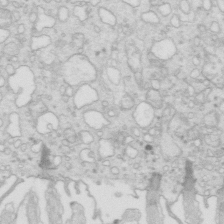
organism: Mouse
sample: Multiciliated cells